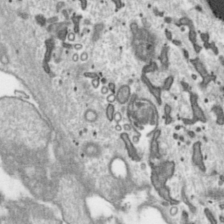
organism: Toxoplasma gondii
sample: Parasites in a vacuole inside a host cell